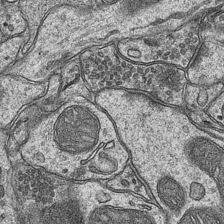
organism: Mouse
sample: CA1 Hippocampus